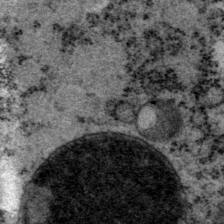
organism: P. pacificus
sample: Pharynx